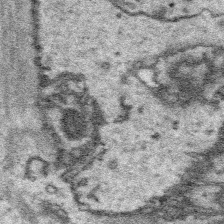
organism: Platynereis dumerilii